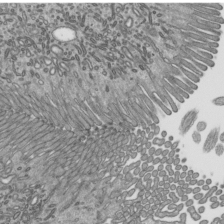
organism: Mouse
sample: Mouse epididymis efferent ductule cilia